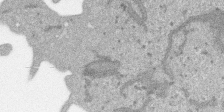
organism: Human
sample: Lung epithelial cells infected with SARS-CoV-2